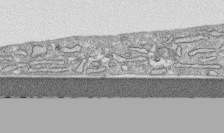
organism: Human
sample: CRL-1474